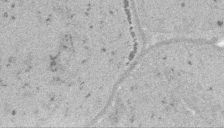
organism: Embia sp.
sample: Silk gland